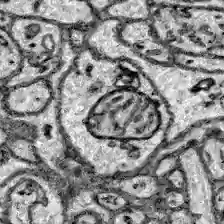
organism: Zebrafish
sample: Brain